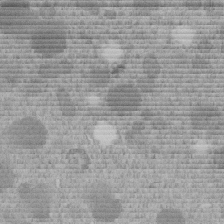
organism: C. elegans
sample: C. elegans embryo early stage